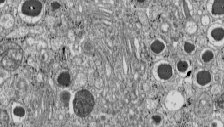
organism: C57BL Mouse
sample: Pancreatic islet